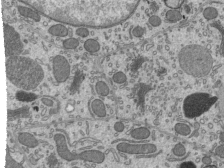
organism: Mouse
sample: Mouse epididymis efferent ductule cilia